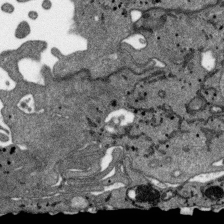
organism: Human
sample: Lung epithelial cells, uninfected (mock) control